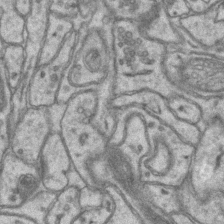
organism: Mouse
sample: CA1 Hippocampus